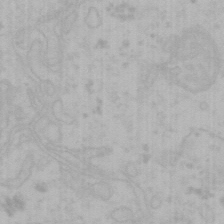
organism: Mouse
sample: Choroid plexus